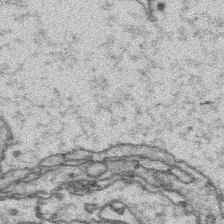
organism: Platynereis dumerilii